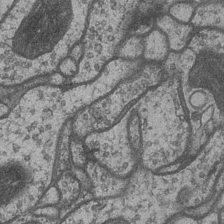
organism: Drosophila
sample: Optic medulla